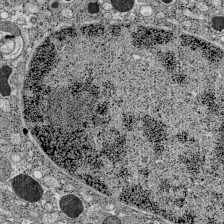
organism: C57BL Mouse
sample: Pancreatic islet